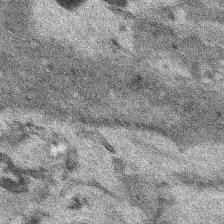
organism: Human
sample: Mitochondria in HCT116 cells